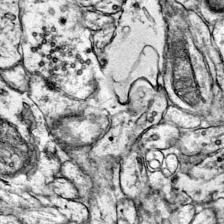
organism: Mouse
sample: Primary visual cortex